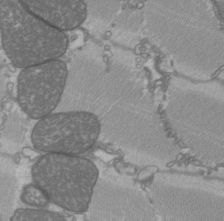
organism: C57BL Mouse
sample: Heart